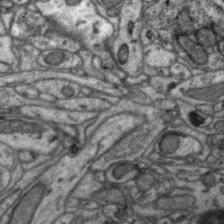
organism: Zebra finch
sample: Brain